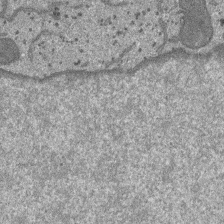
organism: Human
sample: Lung epithelial cells infected with SARS-CoV-2